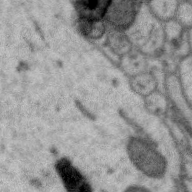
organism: Zebra finch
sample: Brain